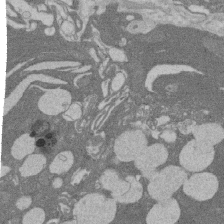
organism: Rat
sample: Salivary granule